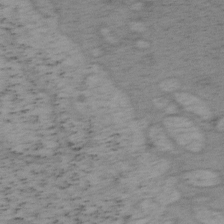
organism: Mouse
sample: OT-I killer T cells with ID8 ovarian cancer cells